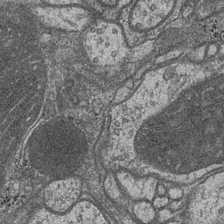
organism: Drosophila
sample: Optic medulla